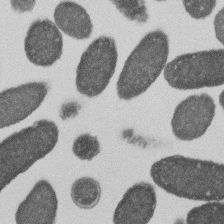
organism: E. coli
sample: Bacterial nucleoid